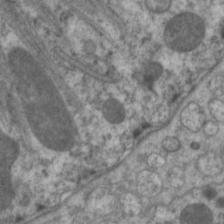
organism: C. elegans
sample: Pharynx